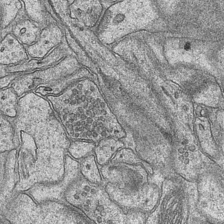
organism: Mouse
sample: CA1 Hippocampus